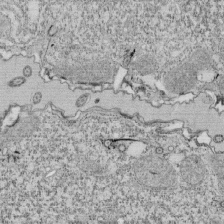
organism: Tetrahymena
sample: Cilia in tetrahymena